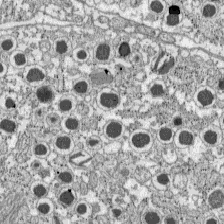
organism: C57BL Mouse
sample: Pancreatic islet